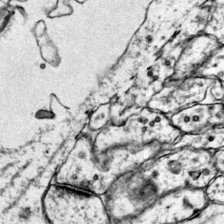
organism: Mouse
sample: Primary visual cortex